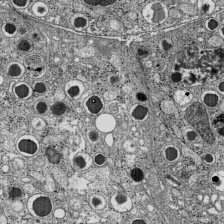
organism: C57BL Mouse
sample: Pancreatic islet